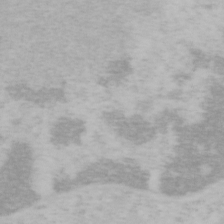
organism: Mouse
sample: OT-I killer T cells with ID8 ovarian cancer cells